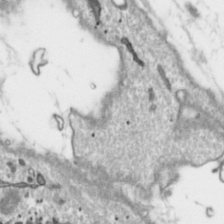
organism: Toxoplasma gondii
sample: Parasites in a vacuole inside a host cell